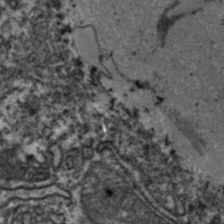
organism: Zebrafish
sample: Zebrafish embryo